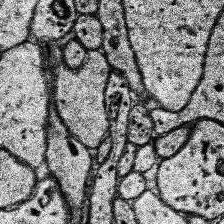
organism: Human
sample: Temporal Lobe